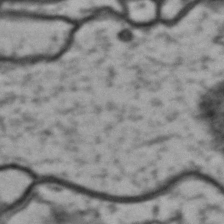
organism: Drosophila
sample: Brain